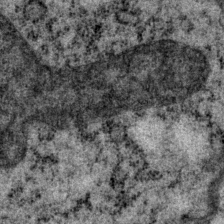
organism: P. pacificus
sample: Pharynx